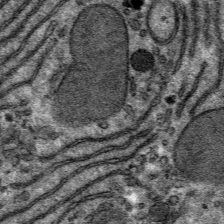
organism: Mouse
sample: Mouse hepatocytes